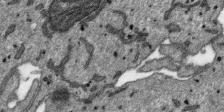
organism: Human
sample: Lung epithelial cells, uninfected (mock) control